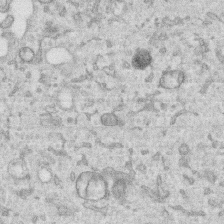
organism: Human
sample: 1205lu cells